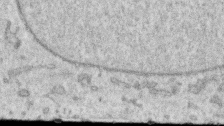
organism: Human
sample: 1205lu cells